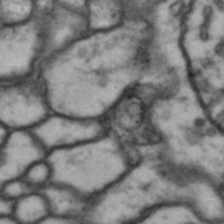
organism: Drosophila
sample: Brain